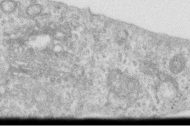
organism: Human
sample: Centriole in RPE cells